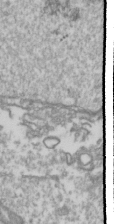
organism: Drosophila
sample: Cell division; meiosis; drosophila spermatocytes